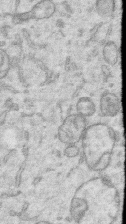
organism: Human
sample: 1205lu cells